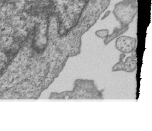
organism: Human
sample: MDA-MB-231 cells